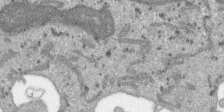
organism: Human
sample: Lung epithelial cells infected with SARS-CoV-2